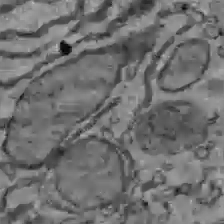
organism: C57BL Mouse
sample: Liver